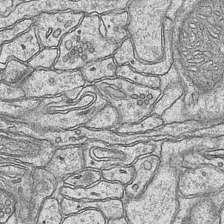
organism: Mouse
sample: CA1 Hippocampus